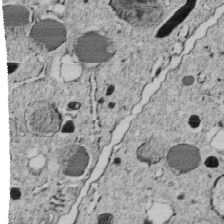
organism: C. elegans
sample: C. elegans embryo early stage